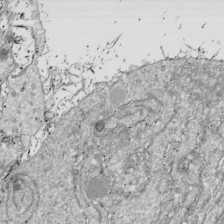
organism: Drosophila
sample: Cell division; meiosis; drosophila spermatocytes